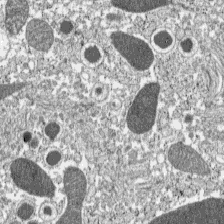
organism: C57BL Mouse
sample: Pancreatic islet